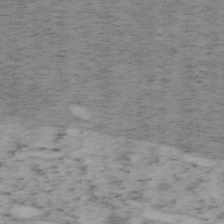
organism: Mouse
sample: OT-I killer T cells with ID8 ovarian cancer cells